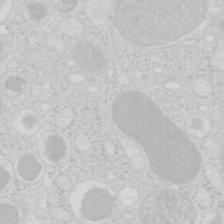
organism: Mouse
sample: Pancreas